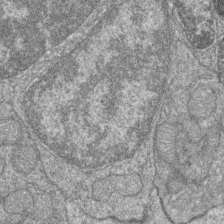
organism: Zebrafish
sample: Cilia; retinal pigment epithelium